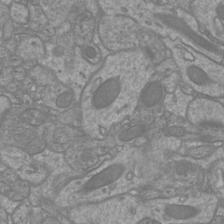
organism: Mouse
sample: Cortical neurons